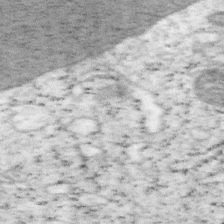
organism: Mouse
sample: OT-I killer T cells with ID8 ovarian cancer cells